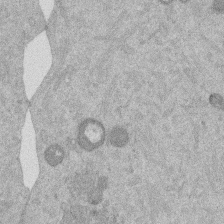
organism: Mouse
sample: Dividing mouse embryo 1 cell stage